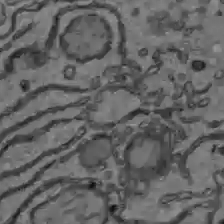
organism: C57BL Mouse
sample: Liver